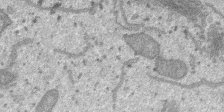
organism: Human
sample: Lung epithelial cells infected with SARS-CoV-2